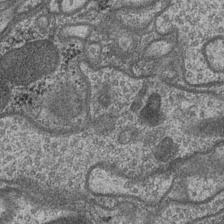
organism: Drosophila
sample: Optic medulla